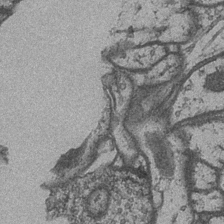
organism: Drosophila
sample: Optic medulla